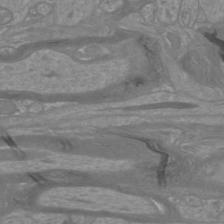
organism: Mouse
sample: Cortical neurons